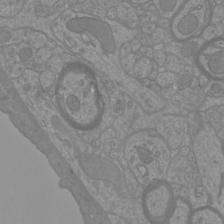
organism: Mouse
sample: Cortical neurons